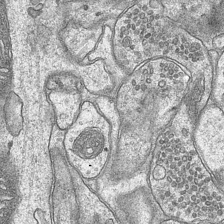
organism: Mouse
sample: CA1 Hippocampus